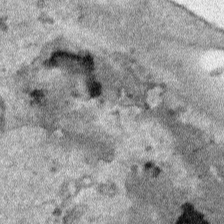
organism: Human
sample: Mitochondria in HCT116 cells